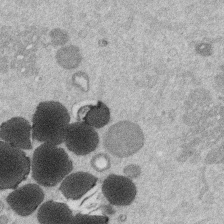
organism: Mouse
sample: Dividing mouse embryo 1 cell stage